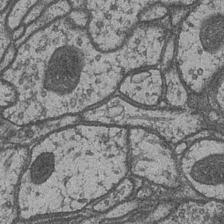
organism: Drosophila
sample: Optic medulla